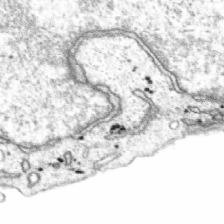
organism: Human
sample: HeLa cells